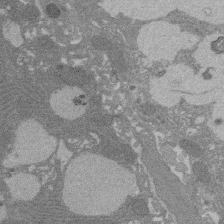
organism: Rat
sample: Salivary granule